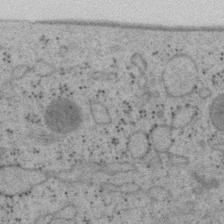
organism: Human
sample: HeLa cells